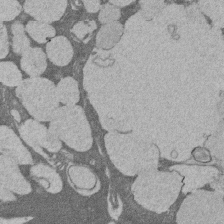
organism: Rat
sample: Salivary granule